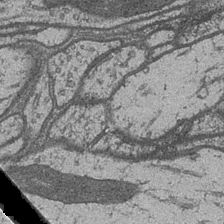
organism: Drosophila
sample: Optic medulla